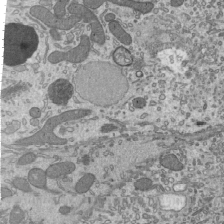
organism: Mouse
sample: Mouse epididymis efferent ductule cilia